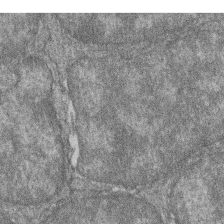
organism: Zebrafish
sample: Cilia; retinal pigment epithelium